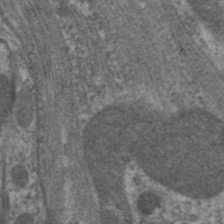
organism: C. elegans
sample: Pharynx